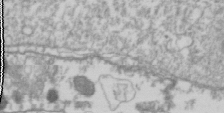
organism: Drosophila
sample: Cell division; meiosis; drosophila spermatocytes